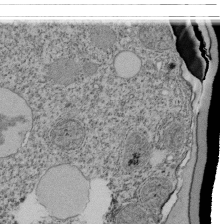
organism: Tetrahymena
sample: Cilia in tetrahymena